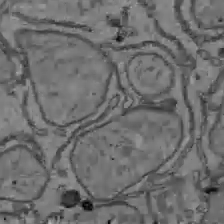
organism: C57BL Mouse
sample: Liver